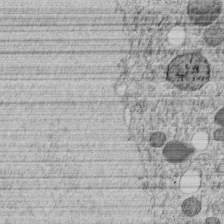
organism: C. elegans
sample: C. elegans embryo early stage